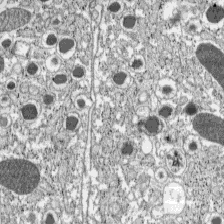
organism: C57BL Mouse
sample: Pancreatic islet